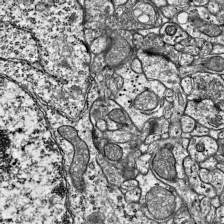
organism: Mouse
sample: Visual Cortex